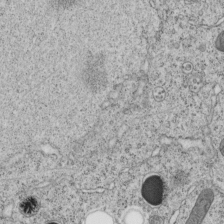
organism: C. elegans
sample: C. elegans embryo early stage